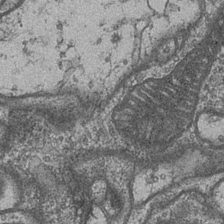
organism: Drosophila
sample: Optic medulla